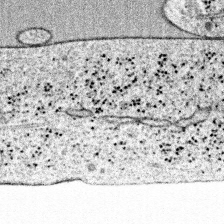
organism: Human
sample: HeLa cells